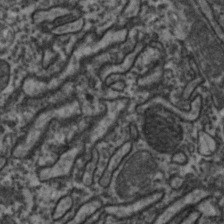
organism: Zebrafish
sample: Zebrafish embryo